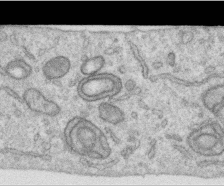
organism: Human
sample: Centriole in RPE cells